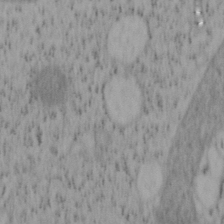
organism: Mouse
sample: OT-I killer T cells with ID8 ovarian cancer cells